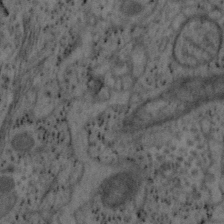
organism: Human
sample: HeLa cells